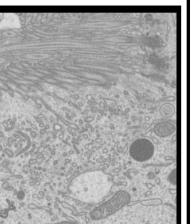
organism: Mouse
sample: Cilia; mouse epididymis